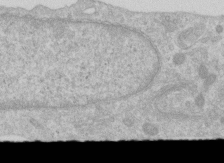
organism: Human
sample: Centriole in RPE cells